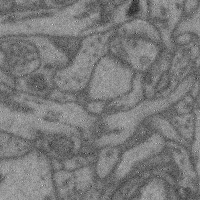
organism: Mouse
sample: Cerebral cortex